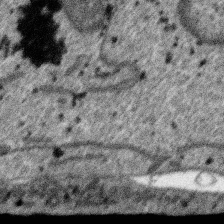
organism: Human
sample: Lung epithelial cells infected with SARS-CoV-2